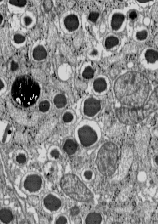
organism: C57BL Mouse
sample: Pancreatic islet